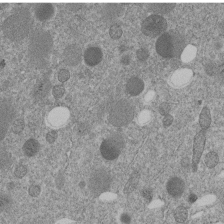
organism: C. elegans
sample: C. elegans embryo early stage